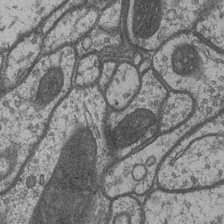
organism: Drosophila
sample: Optic medulla